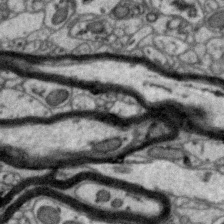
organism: Zebra finch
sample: Brain